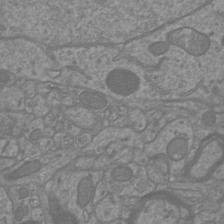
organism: Mouse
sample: Cortical neurons